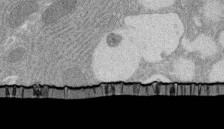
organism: Rat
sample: Salivary granule